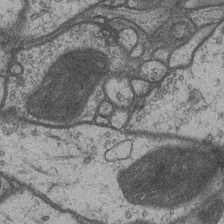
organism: Drosophila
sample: Optic medulla